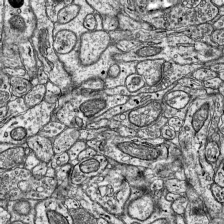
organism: Mouse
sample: Visual Cortex